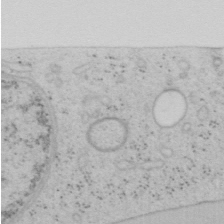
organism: Human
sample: HeLa cells